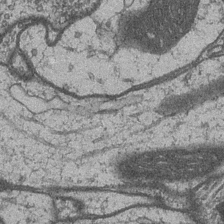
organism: Drosophila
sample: Optic medulla